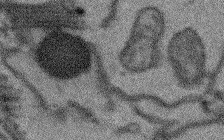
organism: Arabidopsis thaliana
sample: Root tip